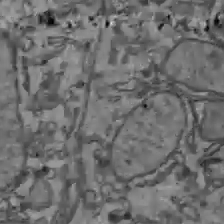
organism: C57BL Mouse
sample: Liver